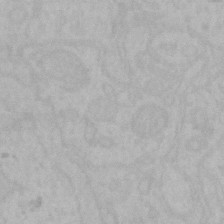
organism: Mouse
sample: Choroid plexus